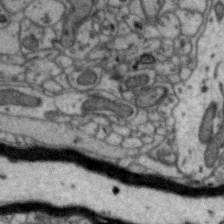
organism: Zebra finch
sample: Brain